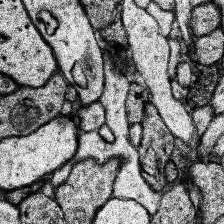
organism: Human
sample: Temporal Lobe